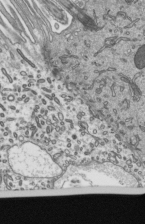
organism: Mouse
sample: Mouse epididymis efferent ductule cilia